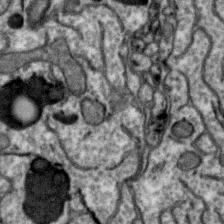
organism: Zebra finch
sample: Brain